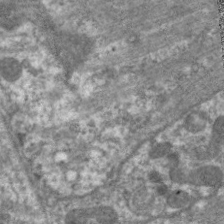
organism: C. elegans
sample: Pharynx